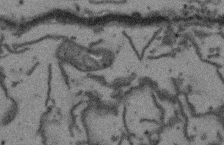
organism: Arabidopsis thaliana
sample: Root tip